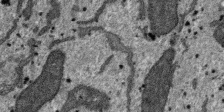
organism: Human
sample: Lung epithelial cells, uninfected (mock) control